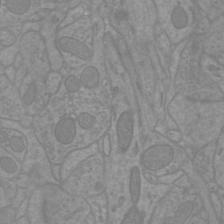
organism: Mouse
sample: Cortical neurons